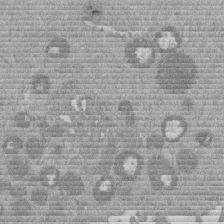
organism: Mouse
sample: Dividing mouse embryo 1 cell stage